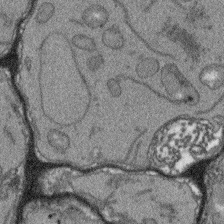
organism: Arabidopsis thaliana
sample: Root tip